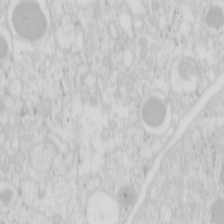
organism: Mouse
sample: Pancreas